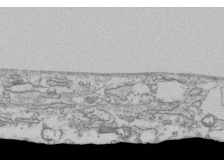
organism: Human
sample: Fibroblast cells